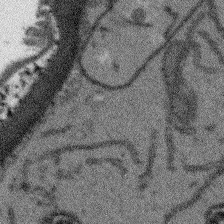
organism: Arabidopsis thaliana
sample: Root tip